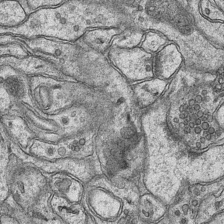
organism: Mouse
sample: CA1 Hippocampus